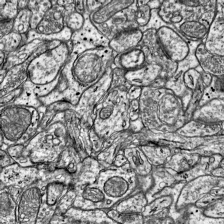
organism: Mouse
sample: Visual Cortex